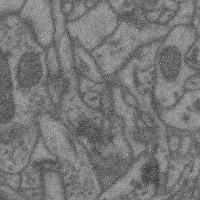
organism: Mouse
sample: Cerebral cortex